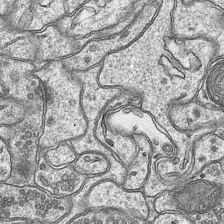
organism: Mouse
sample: CA1 Hippocampus